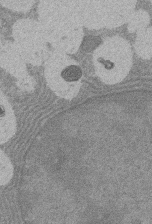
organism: Rat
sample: Salivary granule